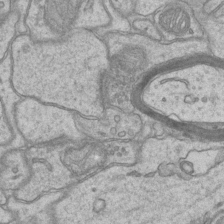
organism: Mouse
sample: CA1 Hippocampus